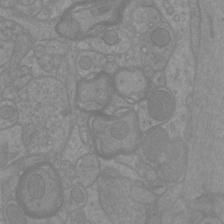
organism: Mouse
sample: Cortical neurons